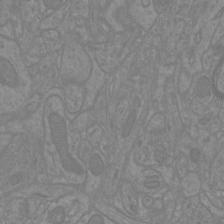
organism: Mouse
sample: Cortical neurons